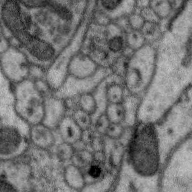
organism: Zebra finch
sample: Brain